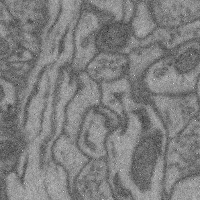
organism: Mouse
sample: Cerebral cortex